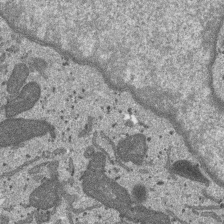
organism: Human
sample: Lung epithelial cells infected with SARS-CoV-2